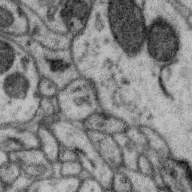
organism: Zebra finch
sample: Brain